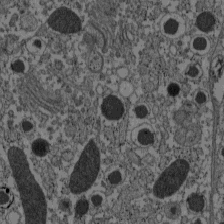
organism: C57BL Mouse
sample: Pancreatic islet